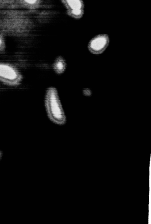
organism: Human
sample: Retinal organoid Rod and Cone cells